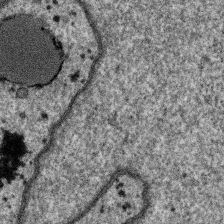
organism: Human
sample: Lung epithelial cells infected with SARS-CoV-2